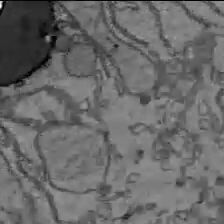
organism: C57BL Mouse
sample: Liver